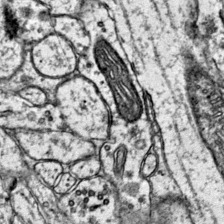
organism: Mouse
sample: Primary visual cortex